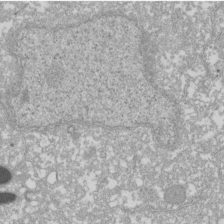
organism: Xenopus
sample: Cilia; centrioles in frog embryo cells